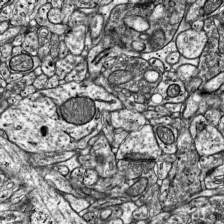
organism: Mouse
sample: Visual Cortex